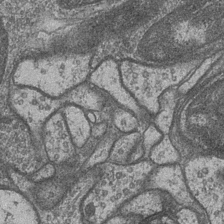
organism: Drosophila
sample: Optic medulla